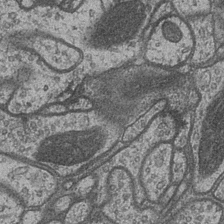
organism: Drosophila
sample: Optic medulla